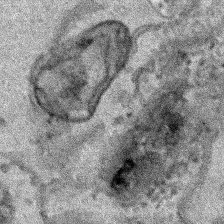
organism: Human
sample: Mitochondria in HCT116 cells